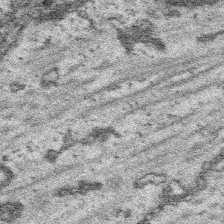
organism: Platynereis dumerilii